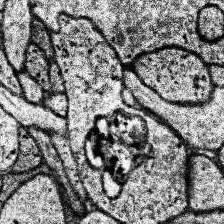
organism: Human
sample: Temporal Lobe